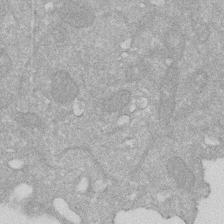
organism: Human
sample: HIV infected U937 cells